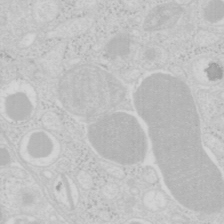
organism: Mouse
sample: Pancreas